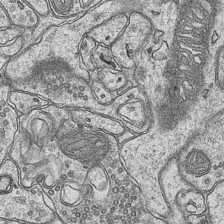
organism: Mouse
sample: CA1 Hippocampus